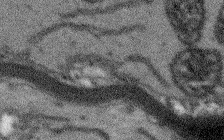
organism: Arabidopsis thaliana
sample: Root tip